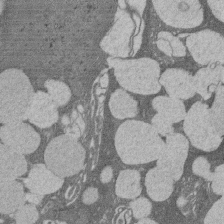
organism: Rat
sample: Salivary granule